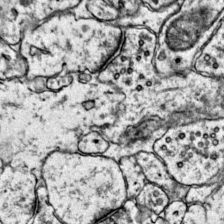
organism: Mouse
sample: Primary visual cortex